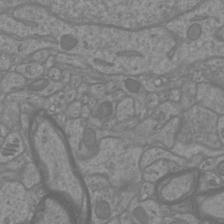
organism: Mouse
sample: Cortical neurons